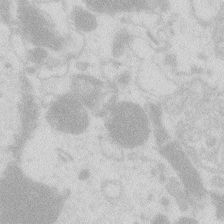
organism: Zebrafish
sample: Macrophage